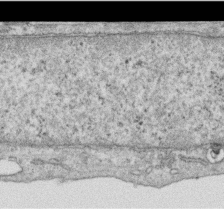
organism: Human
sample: Centriole in RPE cells